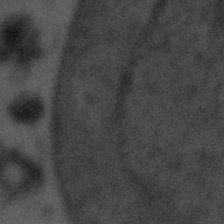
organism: Tuwongella immobilis